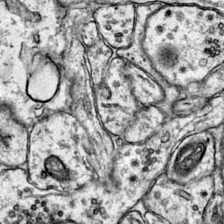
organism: Mouse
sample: Primary visual cortex